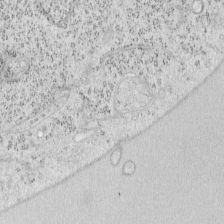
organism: Mouse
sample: OT-I killer T cells with ID8 ovarian cancer cells